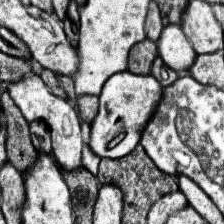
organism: Human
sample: Temporal Lobe